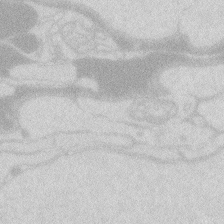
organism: Zebrafish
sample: Macrophage